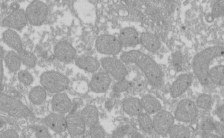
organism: Xenopus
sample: Cilia; centrioles in frog embryo cells